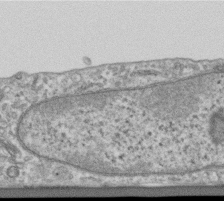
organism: Human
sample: Centriole in RPE cells